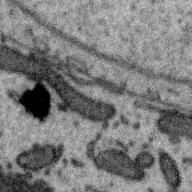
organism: Zebra finch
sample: Brain